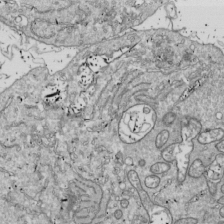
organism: Drosophila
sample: Cell division; meiosis; drosophila spermatocytes